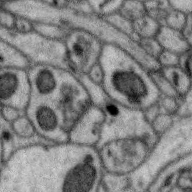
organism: Zebra finch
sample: Brain